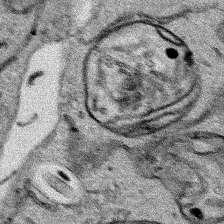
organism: Human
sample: Mitochondria in HCT116 cells